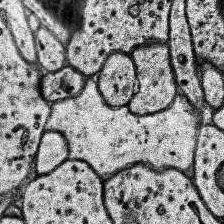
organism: Human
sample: Temporal Lobe